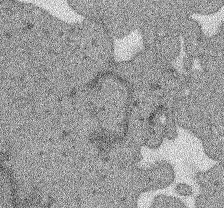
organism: Human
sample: HeLa cells